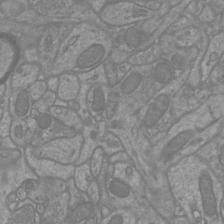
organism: Mouse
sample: Cortical neurons